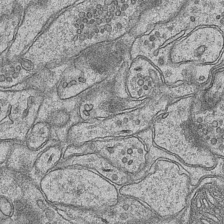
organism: Mouse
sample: CA1 Hippocampus